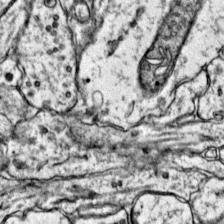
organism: Mouse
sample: Primary visual cortex